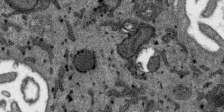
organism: Human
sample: Lung epithelial cells, uninfected (mock) control